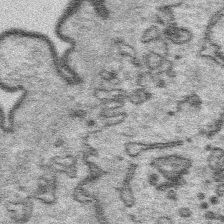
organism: Platynereis dumerilii